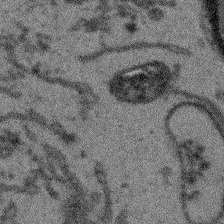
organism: Arabidopsis thaliana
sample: Root tip